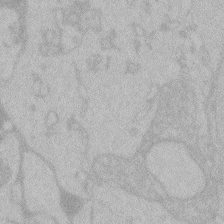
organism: Zebrafish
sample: Macrophage infected with Toxoplasma gondii